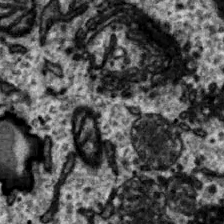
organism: Human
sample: HeLa cells